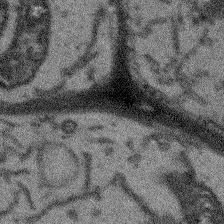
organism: Arabidopsis thaliana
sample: Root tip